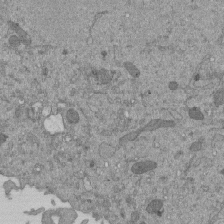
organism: Mouse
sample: ED-1 cell nuclei; centrioles